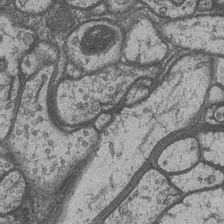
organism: Drosophila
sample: Optic medulla